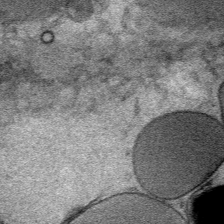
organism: Mouse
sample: Mouse Salivary gland